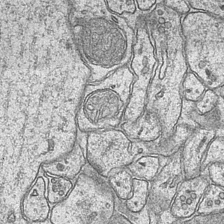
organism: Mouse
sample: CA1 Hippocampus